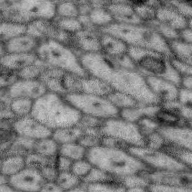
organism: Zebra finch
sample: Brain